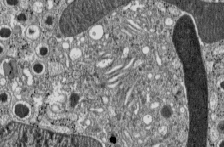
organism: C57BL Mouse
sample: Pancreatic islet